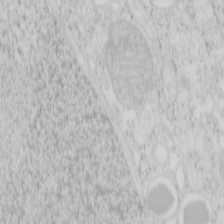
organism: Mouse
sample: Pancreas